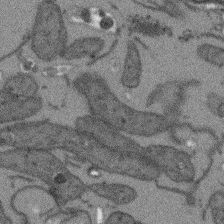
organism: Arabidopsis thaliana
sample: Root tip